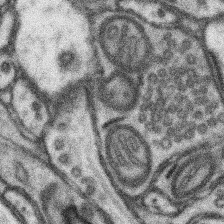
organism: Mouse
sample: Somatosensory cortex neuropil